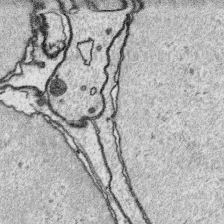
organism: Platynereis dumerilii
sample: Parapodia